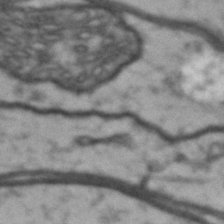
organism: Drosophila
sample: Brain